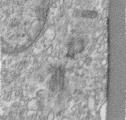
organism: Human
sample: Centriole in RPE cells